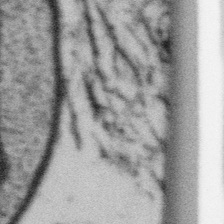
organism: Gemmata obscuriglobus